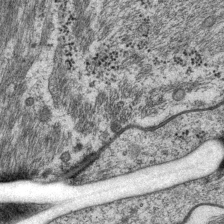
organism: P. pacificus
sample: Pharynx